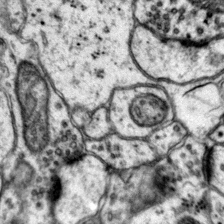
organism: Mouse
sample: Primary visual cortex